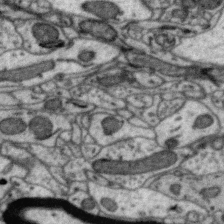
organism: Zebra finch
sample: Brain